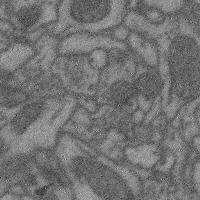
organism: Mouse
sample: Cerebral cortex